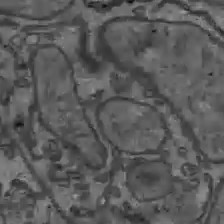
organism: C57BL Mouse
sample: Liver